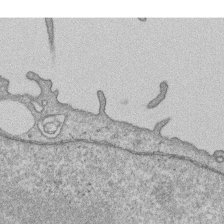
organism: Human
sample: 1205lu cells